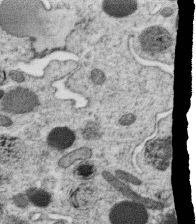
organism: C. elegans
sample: C. elegans oocyte; sperm cells